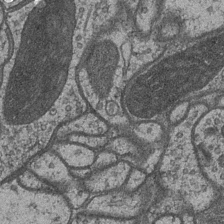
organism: Drosophila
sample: Optic medulla